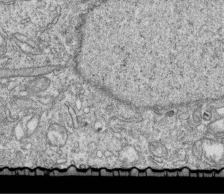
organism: Human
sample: HeLa cell HIV synapse